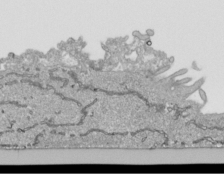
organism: Human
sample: Mitochondria in HCT116 cells